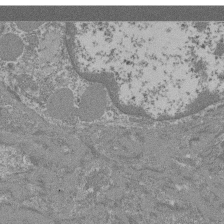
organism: Mouse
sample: Glomerulus